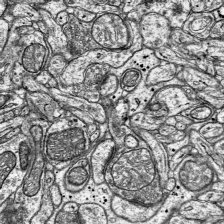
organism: Mouse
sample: Visual Cortex